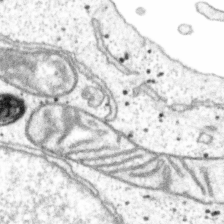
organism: Human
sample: HeLa cells